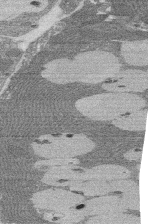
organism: Rat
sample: Salivary granule